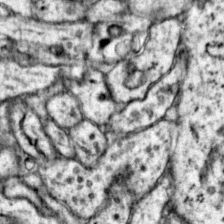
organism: Mouse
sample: Primary visual cortex